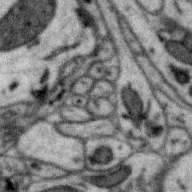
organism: Zebra finch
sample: Brain